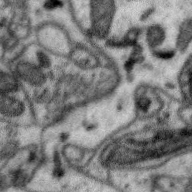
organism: Zebra finch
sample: Brain